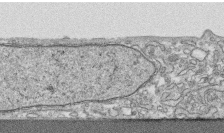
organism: Human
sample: CRL-1474